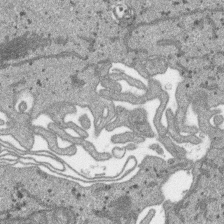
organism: Human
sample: Lung epithelial cells infected with SARS-CoV-2